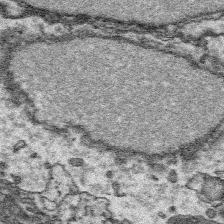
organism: Platynereis dumerilii